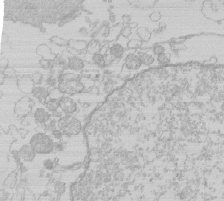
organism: Human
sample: Macrophage cells